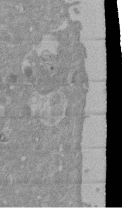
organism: Mouse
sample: ED-1 cell nuclei; centrioles